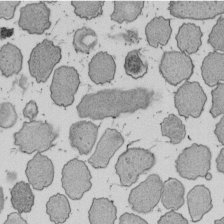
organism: E. coli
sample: Bacterial nucleoid